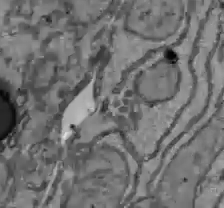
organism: C57BL Mouse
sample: Liver